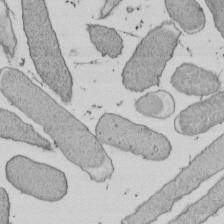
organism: E. coli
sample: Bacterial nucleoid